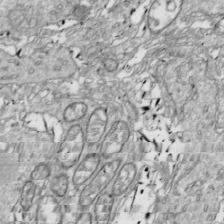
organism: Drosophila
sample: Cell division; meiosis; drosophila spermatocytes